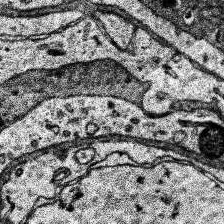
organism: Human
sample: Temporal Lobe